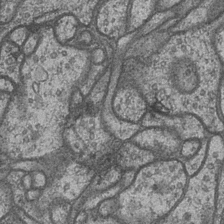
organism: Drosophila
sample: Optic medulla